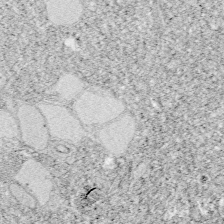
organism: Zebrafish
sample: Whole-Brain